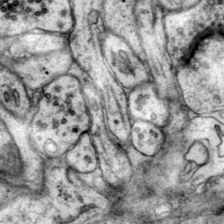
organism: Mouse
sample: Primary visual cortex